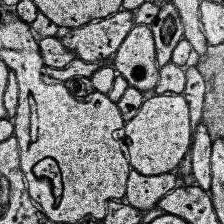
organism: Human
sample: Temporal Lobe